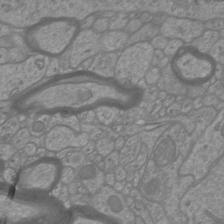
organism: Mouse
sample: Cortical neurons